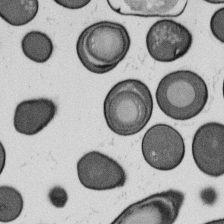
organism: B. subtilis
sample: Bacterial spore